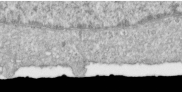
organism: Human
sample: Centriole in RPE cells